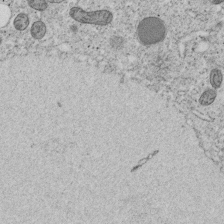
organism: C. elegans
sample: C. elegans embryo early stage